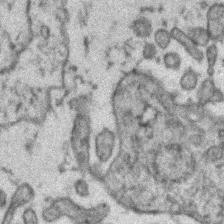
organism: Zebrafish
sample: Zebrafish embryo